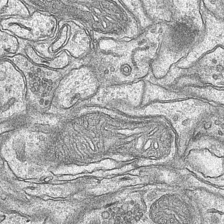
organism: Mouse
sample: CA1 Hippocampus